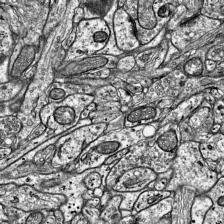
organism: Mouse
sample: Visual Cortex